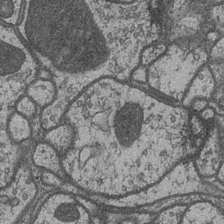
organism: Drosophila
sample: Optic medulla